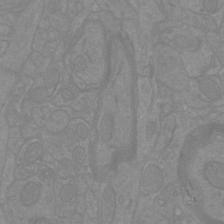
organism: Mouse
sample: Cortical neurons